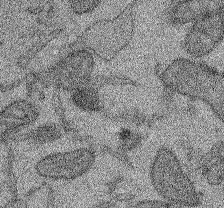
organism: Human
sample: HeLa cells